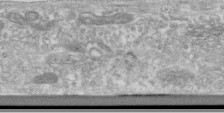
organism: Human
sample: Centriole in RPE cells